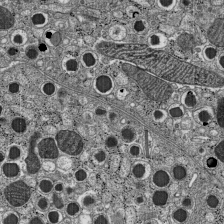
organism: C57BL Mouse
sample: Pancreatic islet